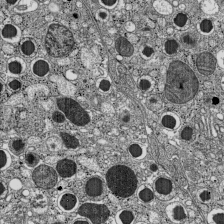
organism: C57BL Mouse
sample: Pancreatic islet